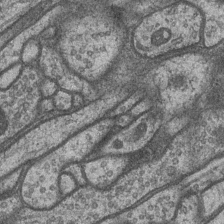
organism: Drosophila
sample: Optic medulla